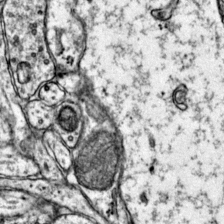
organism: Mouse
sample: Primary visual cortex